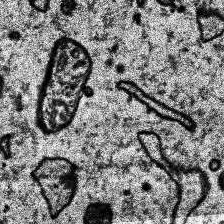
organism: Human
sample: Temporal Lobe